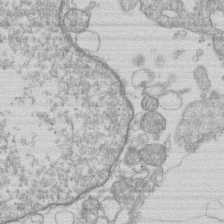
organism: Human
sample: Macrophage cells